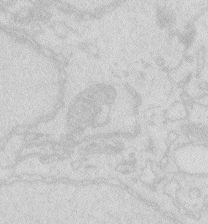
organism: Zebrafish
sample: Macrophage